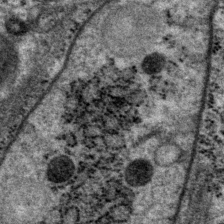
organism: P. pacificus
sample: Pharynx